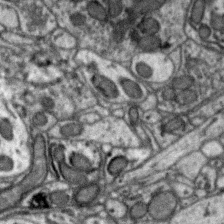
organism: Zebra finch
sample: Brain